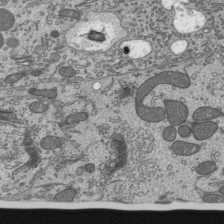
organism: Mouse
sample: Mouse epididymis efferent ductule cilia